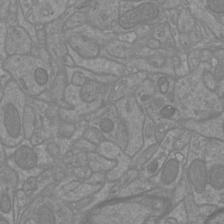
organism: Mouse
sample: Cortical neurons